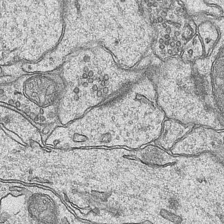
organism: Mouse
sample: CA1 Hippocampus